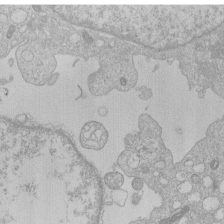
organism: Human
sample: Macrophage cells